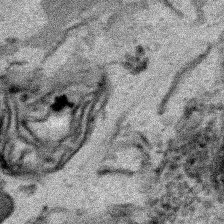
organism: Human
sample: Mitochondria in HCT116 cells